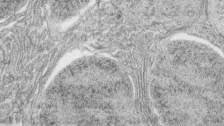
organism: Zebrafish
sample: synaptic ribbons in rod cells and cone cells